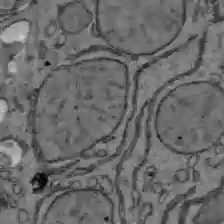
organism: C57BL Mouse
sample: Liver